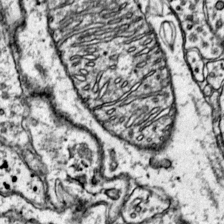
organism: Mouse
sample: Primary visual cortex